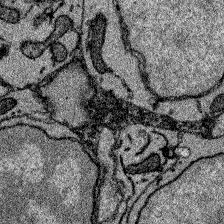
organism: Zebrafish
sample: Larval olfactory bulb